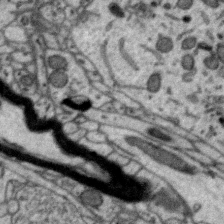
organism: Zebra finch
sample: Brain